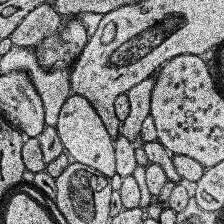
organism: Human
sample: Temporal Lobe